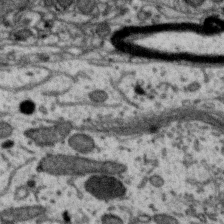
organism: Zebra finch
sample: Brain